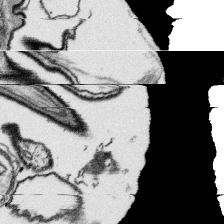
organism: Platynereis dumerilii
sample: Parapodia